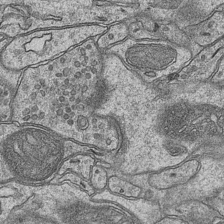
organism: Mouse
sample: CA1 Hippocampus